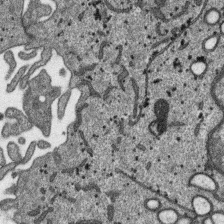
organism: Human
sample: Lung epithelial cells infected with SARS-CoV-2